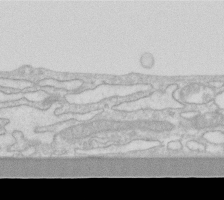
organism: Human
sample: Fibroblast cells